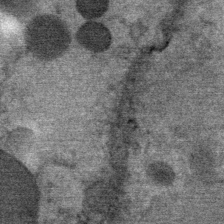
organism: Mouse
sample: Mouse Salivary gland